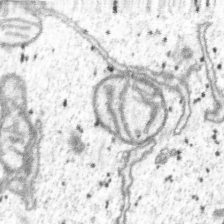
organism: Human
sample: HeLa cells